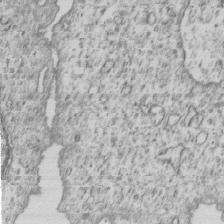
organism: Human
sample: MDA-MB-231 cells